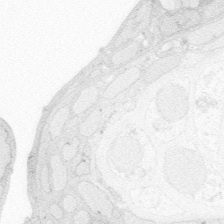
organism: Zebrafish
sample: Whole-Brain